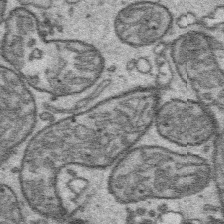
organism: Platynereis dumerilii